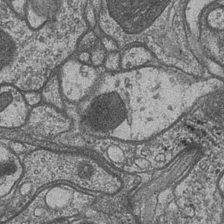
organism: Drosophila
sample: Optic medulla